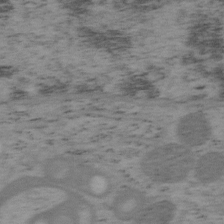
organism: Mouse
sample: OT-I killer T cells with ID8 ovarian cancer cells